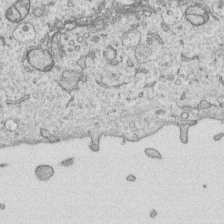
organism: Human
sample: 1205lu cells